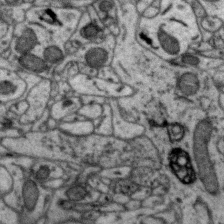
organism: Zebra finch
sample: Brain